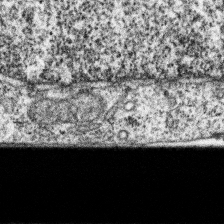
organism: Human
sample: HeLa cells